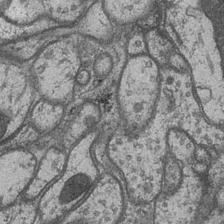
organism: Drosophila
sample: Optic medulla